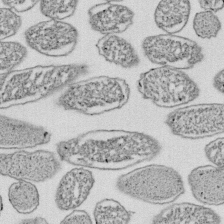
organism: E. coli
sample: Bacterial nucleoid